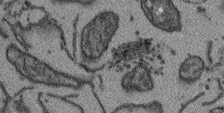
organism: Arabidopsis thaliana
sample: Root tip